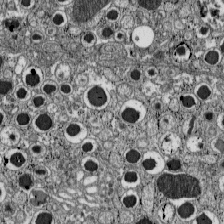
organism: C57BL Mouse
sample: Pancreatic islet